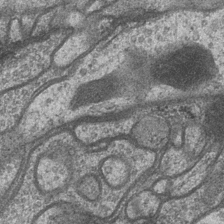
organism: Drosophila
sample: Optic medulla